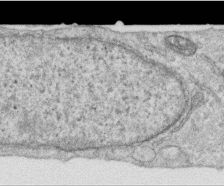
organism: Human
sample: Centriole in RPE cells